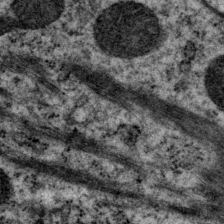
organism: P. pacificus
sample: Pharynx